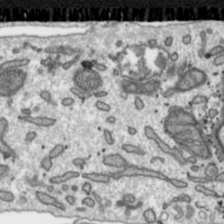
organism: Toxoplasma gondii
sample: Parasites in a vacuole inside a host cell